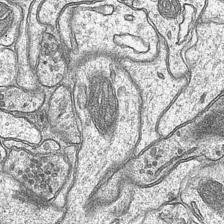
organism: Mouse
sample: CA1 Hippocampus